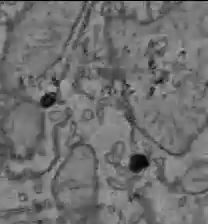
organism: C57BL Mouse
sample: Liver